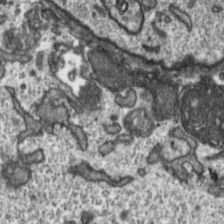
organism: Toxoplasma gondii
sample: Parasites in a vacuole inside a host cell